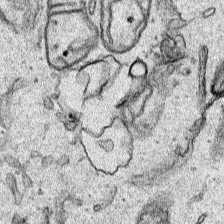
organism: Human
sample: Mitochondria in HCT116 cells